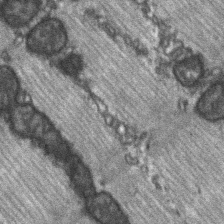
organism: C57BL Mouse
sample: Soleus